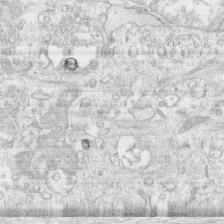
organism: Human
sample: CRL-1474